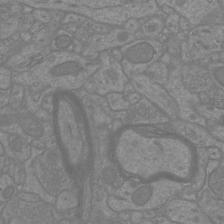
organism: Mouse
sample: Cortical neurons